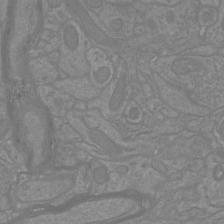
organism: Mouse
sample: Cortical neurons